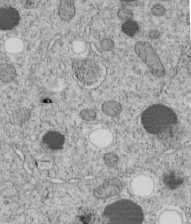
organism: C. elegans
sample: C. elegans embryo early stage